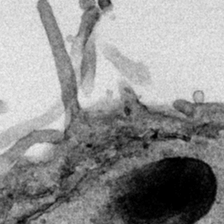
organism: Human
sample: Mitochondria in HCT116 cells